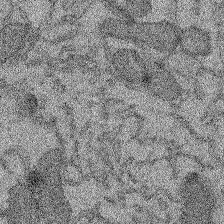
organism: Human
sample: HeLa cells